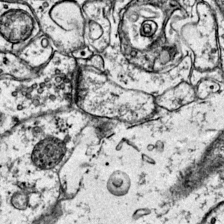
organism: Mouse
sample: Primary visual cortex